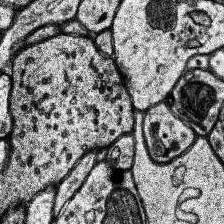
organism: Human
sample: Temporal Lobe